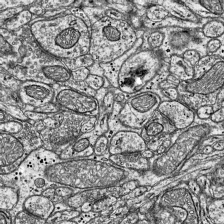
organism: Mouse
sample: Visual Cortex